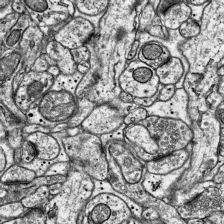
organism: Mouse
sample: Visual Cortex